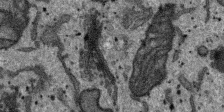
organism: Human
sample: Lung epithelial cells, uninfected (mock) control